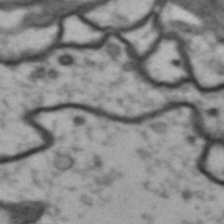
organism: Drosophila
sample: Brain